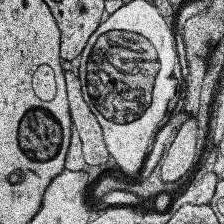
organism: Human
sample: Temporal Lobe